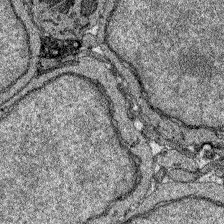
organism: Zebrafish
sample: Larval olfactory bulb